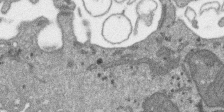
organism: Human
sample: Lung epithelial cells infected with SARS-CoV-2